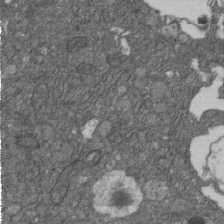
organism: Drosophila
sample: Nephrocyte